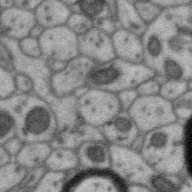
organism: Zebra finch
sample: Brain